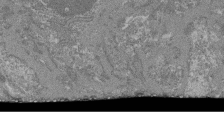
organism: Mouse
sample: Glomerulus